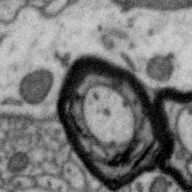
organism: Zebra finch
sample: Brain